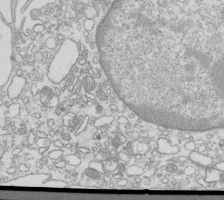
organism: Mouse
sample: Macrophages